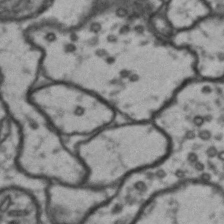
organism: Drosophila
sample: Brain